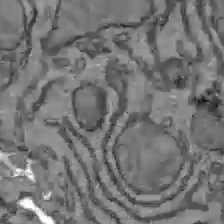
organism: C57BL Mouse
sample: Liver